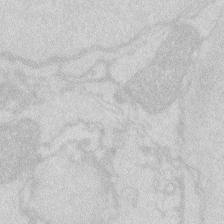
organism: Zebrafish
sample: Macrophage